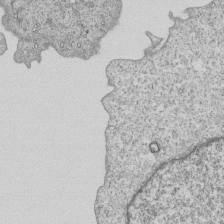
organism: Human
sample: MDA-MB-231 cells